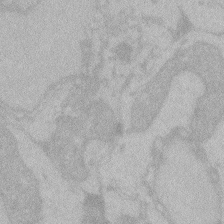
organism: Zebrafish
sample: Macrophage infected with Toxoplasma gondii